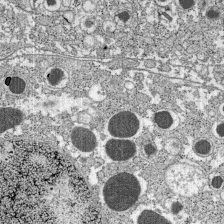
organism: C57BL Mouse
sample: Pancreatic islet